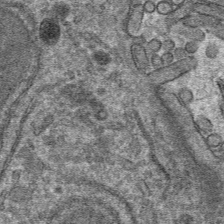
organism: Mouse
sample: Mouse hepatocytes